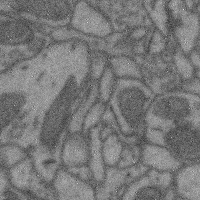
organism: Mouse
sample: Cerebral cortex